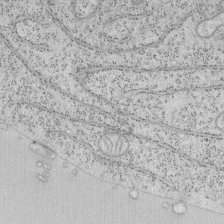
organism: Mouse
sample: OT-I killer T cells with ID8 ovarian cancer cells